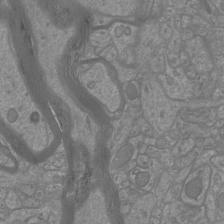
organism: Mouse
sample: Cortical neurons